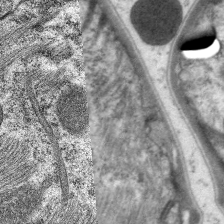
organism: C. elegans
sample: Pharynx